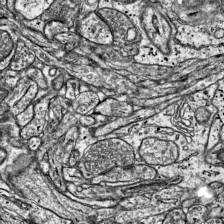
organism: Mouse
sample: Visual Cortex